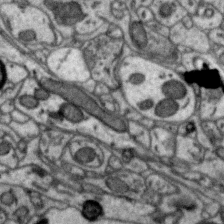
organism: Zebra finch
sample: Brain